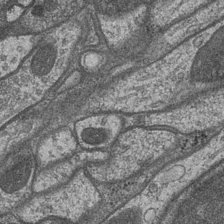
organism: Drosophila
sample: Optic medulla